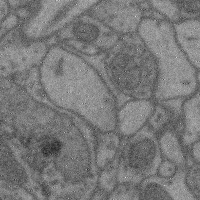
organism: Mouse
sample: Cerebral cortex